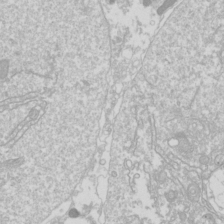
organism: Drosophila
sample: Cell division; meiosis; drosophila spermatocytes